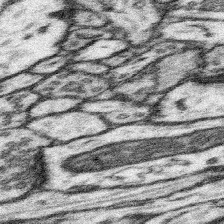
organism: Mouse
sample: Somatosensory cortex neuropil